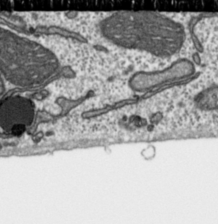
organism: Toxoplasma gondii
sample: Parasites in a vacuole inside a host cell